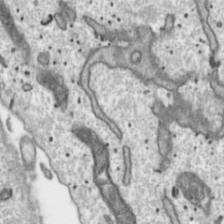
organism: Toxoplasma gondii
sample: Parasites in a vacuole inside a host cell